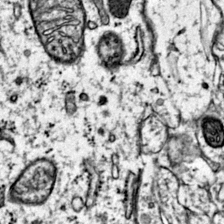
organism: Mouse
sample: Primary visual cortex